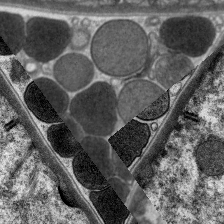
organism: C. elegans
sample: Pharynx